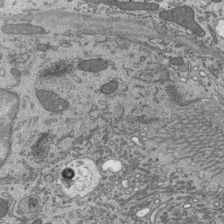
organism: Mouse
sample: Mouse epididymis efferent ductule cilia